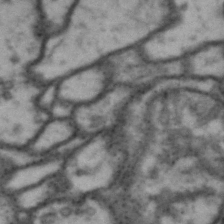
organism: Drosophila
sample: Brain